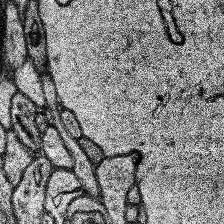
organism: Human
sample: Temporal Lobe